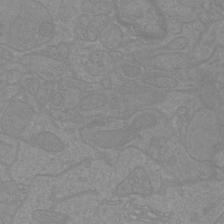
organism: Mouse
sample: Cortical neurons